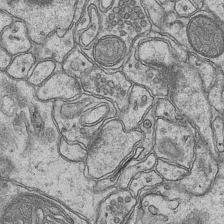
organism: Mouse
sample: CA1 Hippocampus